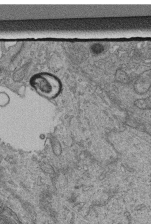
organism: Human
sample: Retinal organoid Rod and Cone cells